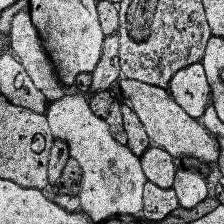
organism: Human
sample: Temporal Lobe